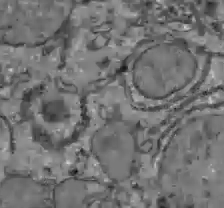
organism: C57BL Mouse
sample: Liver